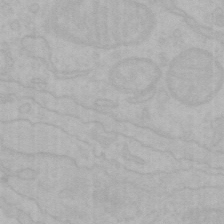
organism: Mouse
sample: Choroid plexus